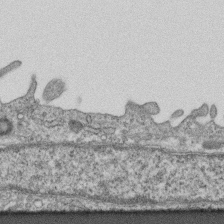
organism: Mouse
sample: Centriole in ependymal cells